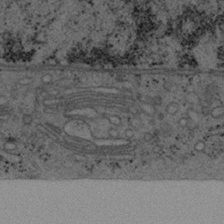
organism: Human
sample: HeLa cells